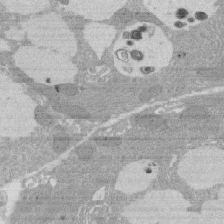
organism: Rat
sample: Salivary granule